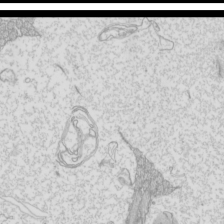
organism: Mouse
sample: Cilia; mouse epididymis